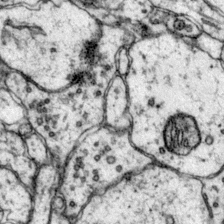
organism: Mouse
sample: Primary visual cortex